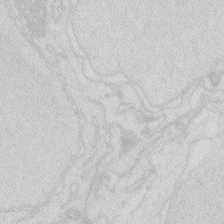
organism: Zebrafish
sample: Macrophage